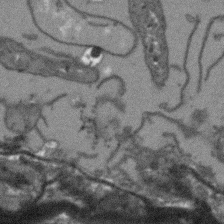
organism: Arabidopsis thaliana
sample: Root tip